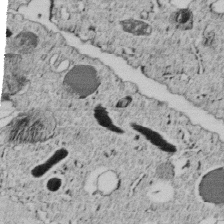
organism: C. elegans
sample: C. elegans embryo early stage